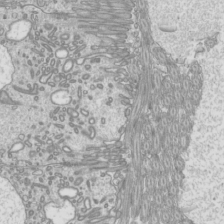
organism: Mouse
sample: Cilia; mouse epididymis